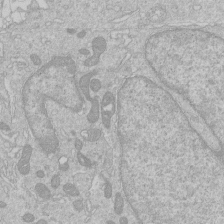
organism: Human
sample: Macrophage cells